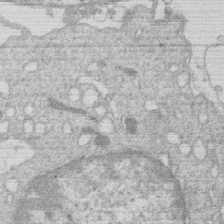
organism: Human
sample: Macrophage cells